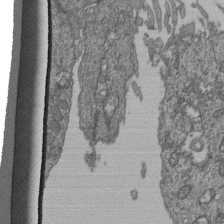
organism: Human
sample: Retinal organoid Rod and Cone cells